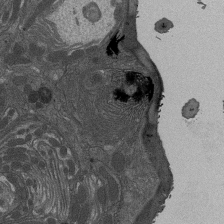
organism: Drosophila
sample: Antenna